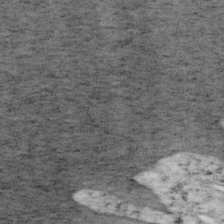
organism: Mouse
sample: OT-I killer T cells with ID8 ovarian cancer cells